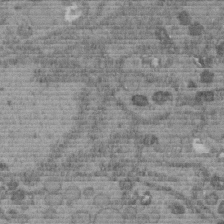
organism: C. elegans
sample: C. elegans embryo early stage